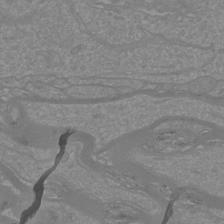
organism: Mouse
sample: Cortical neurons